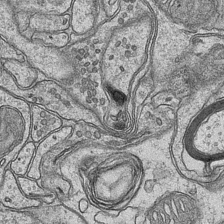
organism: Mouse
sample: CA1 Hippocampus